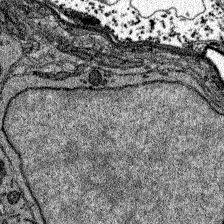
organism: Zebrafish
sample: Larval olfactory bulb